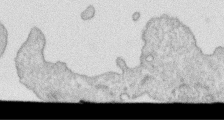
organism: Human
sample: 1205lu cells